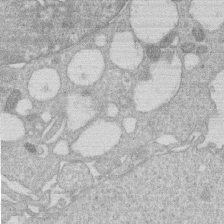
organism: Human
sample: Macrophage cells